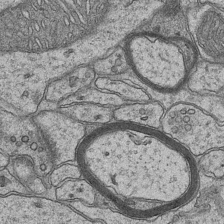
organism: Mouse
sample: CA1 Hippocampus